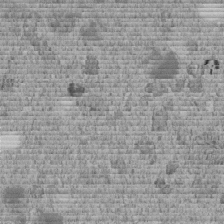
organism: C. elegans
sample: C. elegans embryo early stage